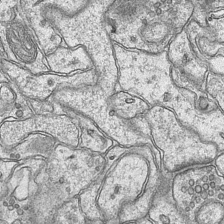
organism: Mouse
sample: CA1 Hippocampus